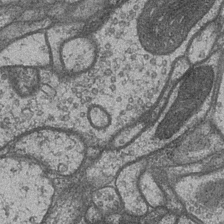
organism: Drosophila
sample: Optic medulla